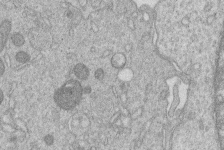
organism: Human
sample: Macrophage cells